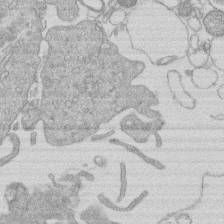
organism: Human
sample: Macrophage cells